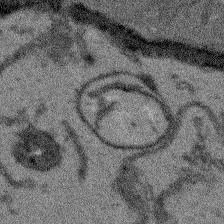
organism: Arabidopsis thaliana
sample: Root tip